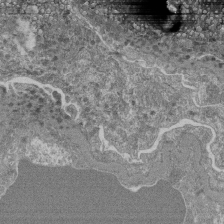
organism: Mouse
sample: Glomerulus